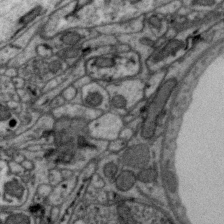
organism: Zebra finch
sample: Brain